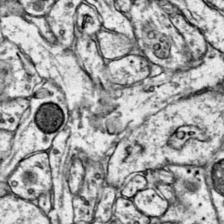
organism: Mouse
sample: Primary visual cortex